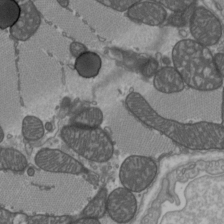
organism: C57BL Mouse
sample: Heart